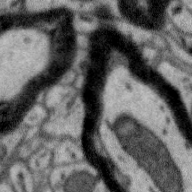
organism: Zebra finch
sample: Brain